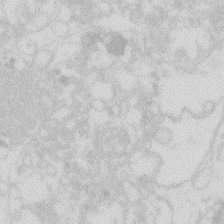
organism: Zebrafish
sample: Macrophage